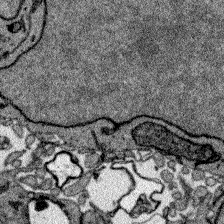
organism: Zebrafish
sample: Larval olfactory bulb